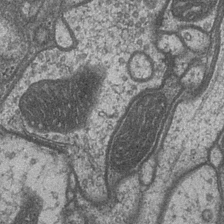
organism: Drosophila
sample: Optic medulla